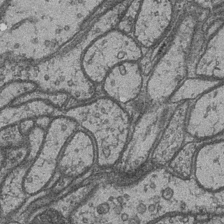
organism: Drosophila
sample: Optic medulla